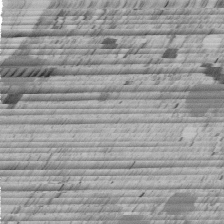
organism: C. elegans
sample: C. elegans embryo early stage